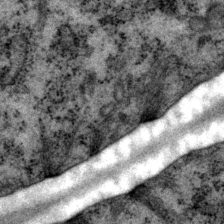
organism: P. pacificus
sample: Pharynx